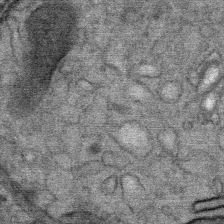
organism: Mouse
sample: Mouse Salivary gland